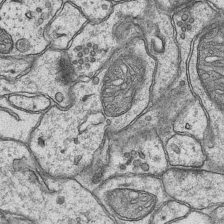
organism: Mouse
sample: CA1 Hippocampus